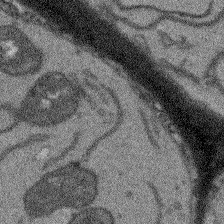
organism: Arabidopsis thaliana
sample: Root tip